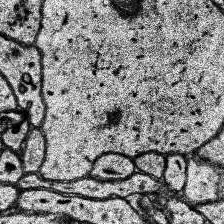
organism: Human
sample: Temporal Lobe